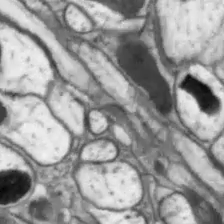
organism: Drosophila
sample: Optic lobe